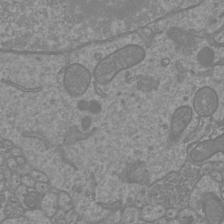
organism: Mouse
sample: Cortical neurons